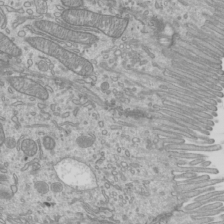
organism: Mouse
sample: Cilia; mouse epididymis